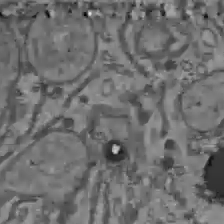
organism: C57BL Mouse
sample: Liver